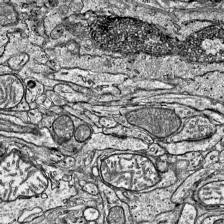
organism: Mouse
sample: Visual Cortex